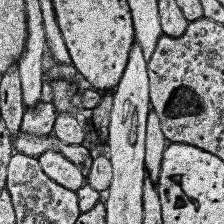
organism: Human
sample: Temporal Lobe